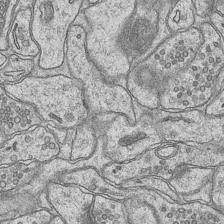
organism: Mouse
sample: CA1 Hippocampus